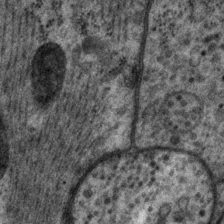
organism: P. pacificus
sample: Pharynx